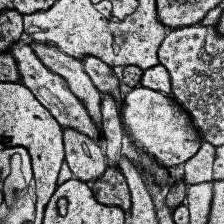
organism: Human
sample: Temporal Lobe